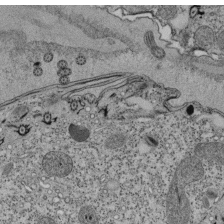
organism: Tetrahymena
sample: Cilia in tetrahymena